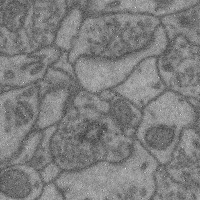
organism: Mouse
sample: Cerebral cortex